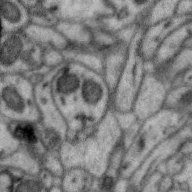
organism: Zebra finch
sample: Brain